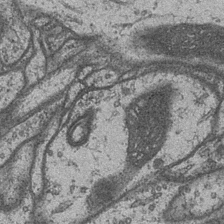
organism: Drosophila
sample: Optic medulla